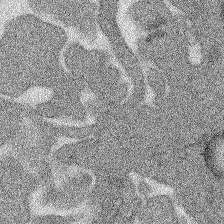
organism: Human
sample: HeLa cells